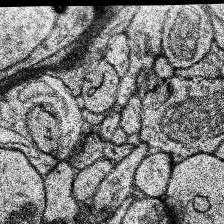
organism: Human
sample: Temporal Lobe